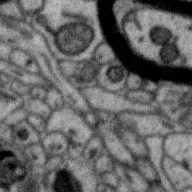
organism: Zebra finch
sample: Brain